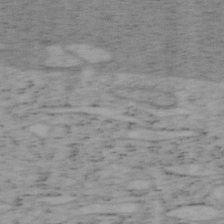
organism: Mouse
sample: OT-I killer T cells with ID8 ovarian cancer cells